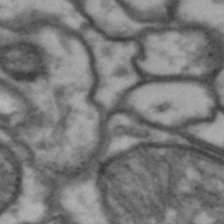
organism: Drosophila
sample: Brain